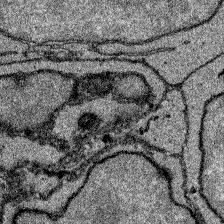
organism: Zebrafish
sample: Larval olfactory bulb